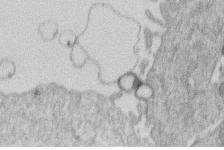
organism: Human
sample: Macrophage cells